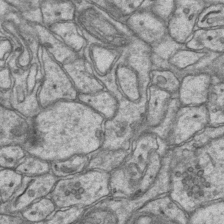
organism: Mouse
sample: CA1 Hippocampus